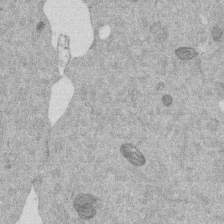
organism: Mouse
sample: Dividing mouse embryo 1 cell stage